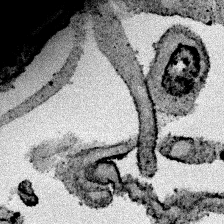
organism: Human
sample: Mitochondria in HCT116 cells